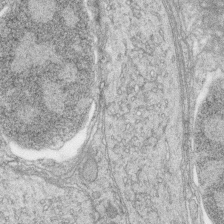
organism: Zebrafish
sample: synaptic ribbons in rod cells and cone cells